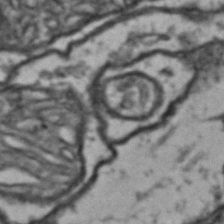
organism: Drosophila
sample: Brain